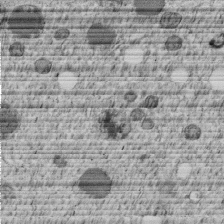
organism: C. elegans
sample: C. elegans embryo early stage